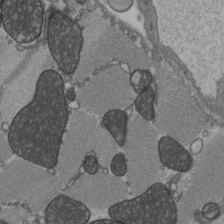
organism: C57BL Mouse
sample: Heart